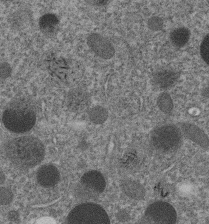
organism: C. elegans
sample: C. elegans embryo early stage